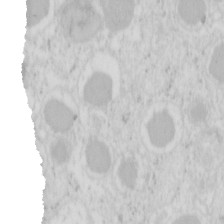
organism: Mouse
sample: Pancreas